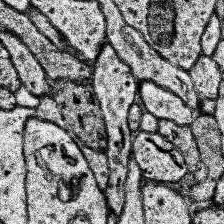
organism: Human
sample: Temporal Lobe